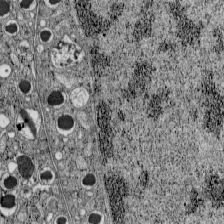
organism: C57BL Mouse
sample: Pancreatic islet